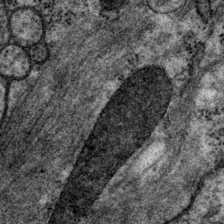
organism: P. pacificus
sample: Pharynx